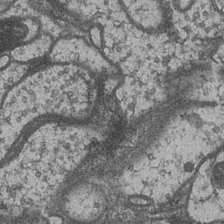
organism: Drosophila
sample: Optic medulla